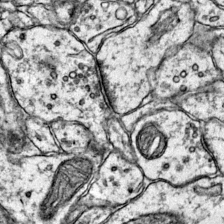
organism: Mouse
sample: Primary visual cortex